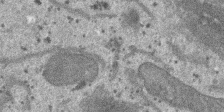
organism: Human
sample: Lung epithelial cells infected with SARS-CoV-2